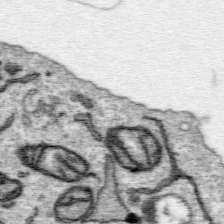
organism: Human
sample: HeLa cells